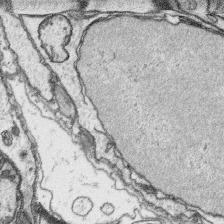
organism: Platynereis dumerilii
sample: Parapodia